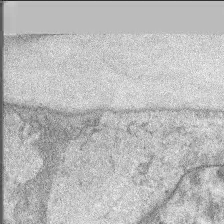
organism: Mouse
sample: Corneal nerves